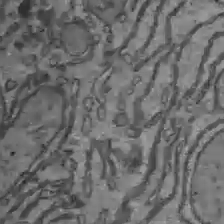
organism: C57BL Mouse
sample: Liver